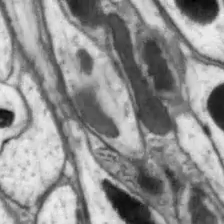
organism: Drosophila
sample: Optic lobe